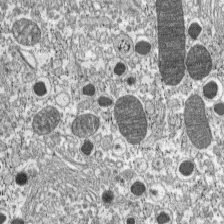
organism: C57BL Mouse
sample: Pancreatic islet